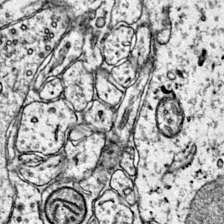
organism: Mouse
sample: Primary visual cortex